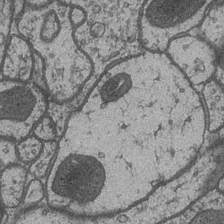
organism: Drosophila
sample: Optic medulla